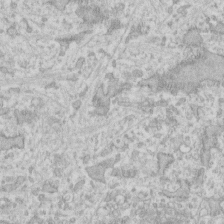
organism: Human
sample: Fibroblast cells